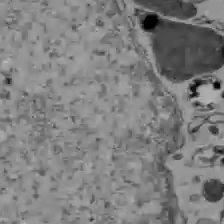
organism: C57BL Mouse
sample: Liver